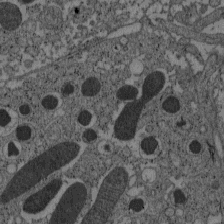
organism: C57BL Mouse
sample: Pancreatic islet